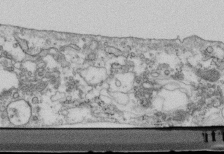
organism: Mouse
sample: Cilia; retinal pigment epithelium